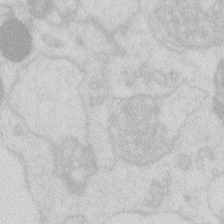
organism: Zebrafish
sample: Macrophage